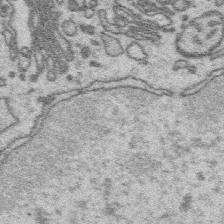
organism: Platynereis dumerilii